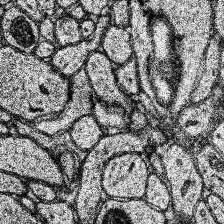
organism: Human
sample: Temporal Lobe